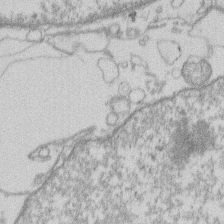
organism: Human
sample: Macrophage cells